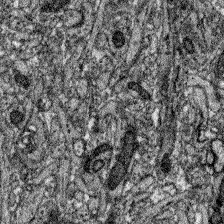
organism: Zebrafish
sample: Larval olfactory bulb